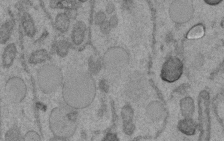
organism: C. elegans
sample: C. elegans embryo early stage